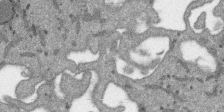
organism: Human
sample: Lung epithelial cells infected with SARS-CoV-2